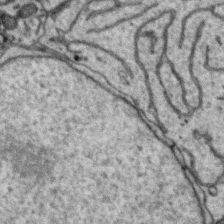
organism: Zebra finch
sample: Brain